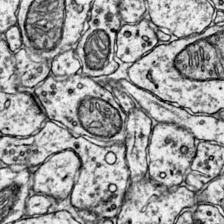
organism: Mouse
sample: Primary visual cortex